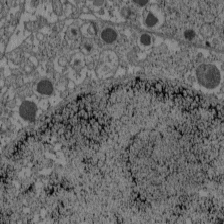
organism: C57BL Mouse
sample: Pancreatic islet